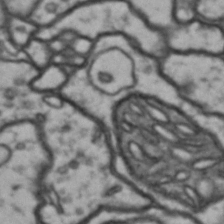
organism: Drosophila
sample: Brain